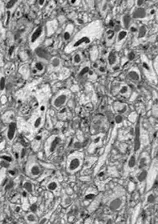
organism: Drosophila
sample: Optic lobe